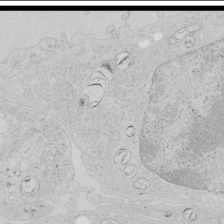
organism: Human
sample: Mitochondria in HCT116 cells